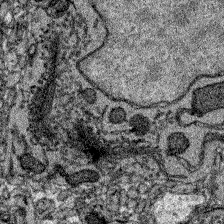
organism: Zebrafish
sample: Larval olfactory bulb